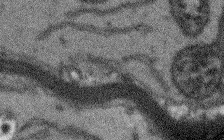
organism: Arabidopsis thaliana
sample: Root tip